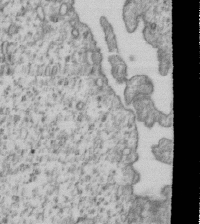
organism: Human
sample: MDA-MB-231 cells